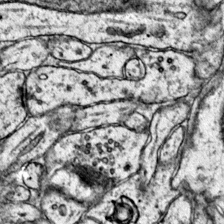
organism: Mouse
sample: Primary visual cortex